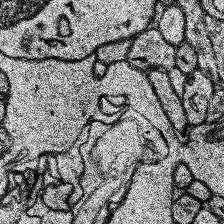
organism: Human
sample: Temporal Lobe